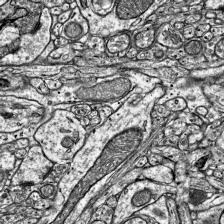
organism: Mouse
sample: Visual Cortex